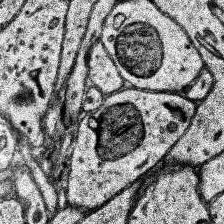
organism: Human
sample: Temporal Lobe